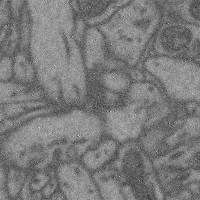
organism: Mouse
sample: Cerebral cortex